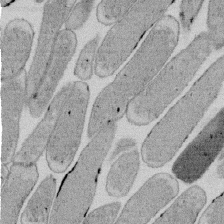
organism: E. coli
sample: Bacterial nucleoid